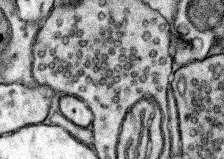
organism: Mouse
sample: Somatosensory cortex neuropil